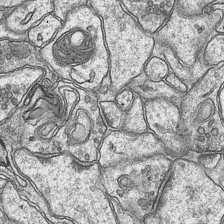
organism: Mouse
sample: CA1 Hippocampus